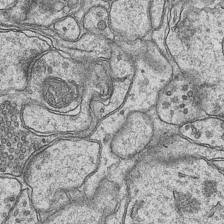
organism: Mouse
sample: CA1 Hippocampus